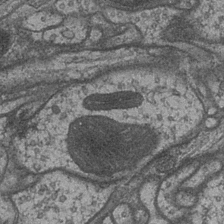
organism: Drosophila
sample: Optic medulla